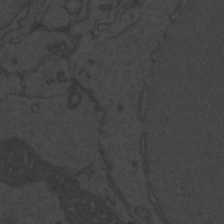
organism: Zebrafish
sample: Macrophage infected with Toxoplasma gondii